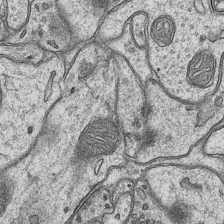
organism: Mouse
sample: CA1 Hippocampus